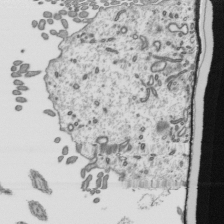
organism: Mouse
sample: Mouse epididymis efferent ductule cilia